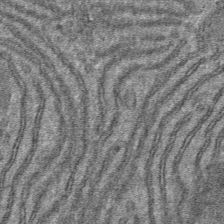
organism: Mouse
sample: Mouse hepatocytes